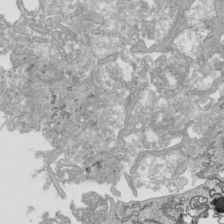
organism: Human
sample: Mitochondria in HCT116 cells